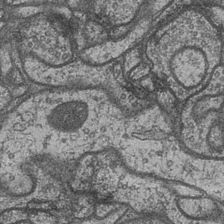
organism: Drosophila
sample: Optic medulla